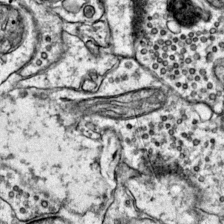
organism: Mouse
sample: Primary visual cortex